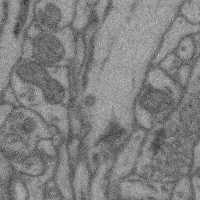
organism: Mouse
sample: Cerebral cortex